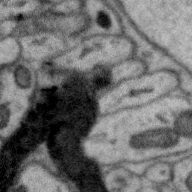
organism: Zebra finch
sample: Brain